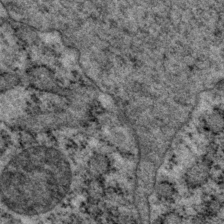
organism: P. pacificus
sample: Pharynx